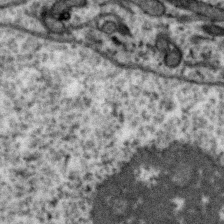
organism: Zebra finch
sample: Brain